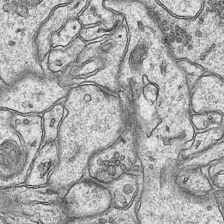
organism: Mouse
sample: CA1 Hippocampus